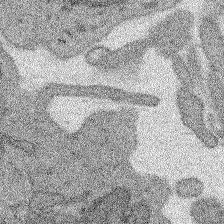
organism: Human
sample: HeLa cells